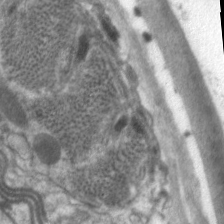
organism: C. elegans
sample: Pharynx